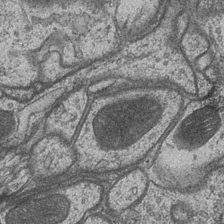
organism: Drosophila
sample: Optic medulla